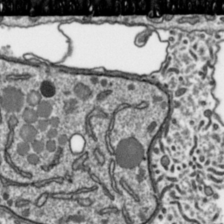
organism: Toxoplasma gondii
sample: Parasites in a vacuole inside a host cell